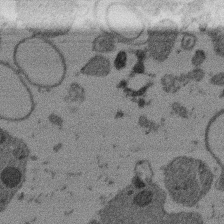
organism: Mouse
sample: Dividing mouse embryo 1 cell stage